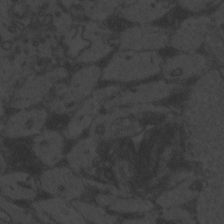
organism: Zebrafish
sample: Macrophage infected with Toxoplasma gondii